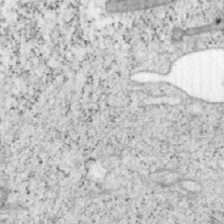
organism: Mouse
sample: OT-I killer T cells with ID8 ovarian cancer cells